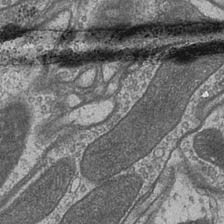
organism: Drosophila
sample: Optic medulla